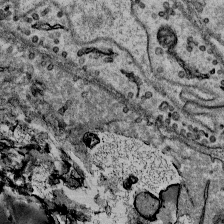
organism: Mouse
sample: Mouse Salivary gland